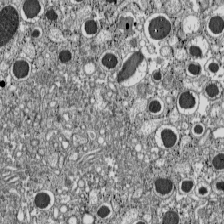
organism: C57BL Mouse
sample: Pancreatic islet